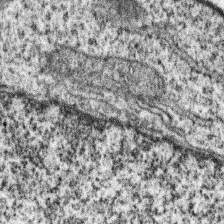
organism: Human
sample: HeLa cells